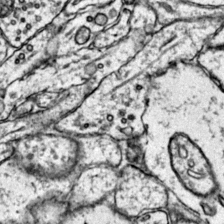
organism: Mouse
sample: Primary visual cortex